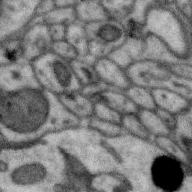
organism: Zebra finch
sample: Brain